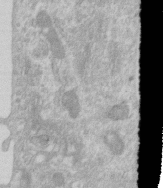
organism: Human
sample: Centriole in RPE cells